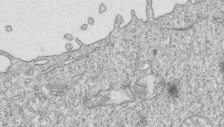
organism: Human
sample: HeLa cell HIV synapse